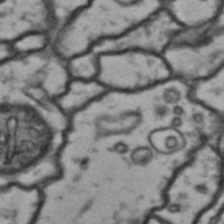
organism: Drosophila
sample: Brain